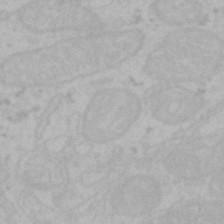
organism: Mouse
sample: Choroid plexus